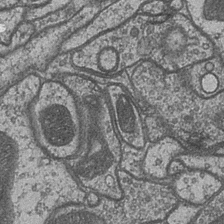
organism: Drosophila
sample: Optic medulla